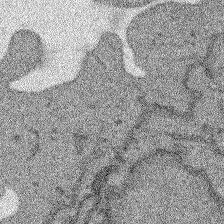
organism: Human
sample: HeLa cells